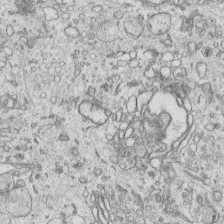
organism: Human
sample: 1205lu cells